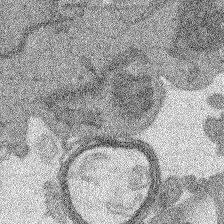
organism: Human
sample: HeLa cells